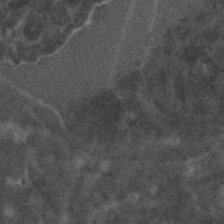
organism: C. elegans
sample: C. elegans embryo